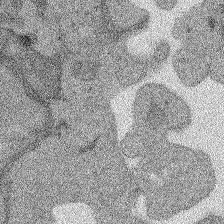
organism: Human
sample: HeLa cells